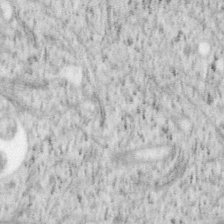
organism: Mouse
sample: OT-I killer T cells with ID8 ovarian cancer cells